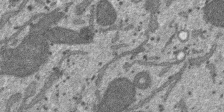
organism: Human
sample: Lung epithelial cells infected with SARS-CoV-2